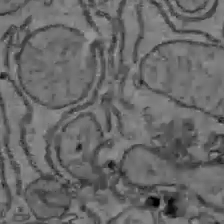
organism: C57BL Mouse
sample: Liver